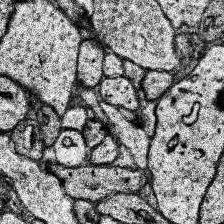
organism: Human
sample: Temporal Lobe